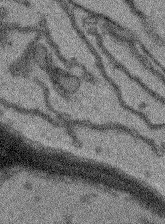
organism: Arabidopsis thaliana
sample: Root tip